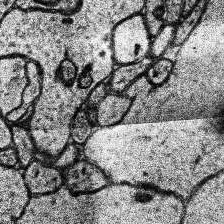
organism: Human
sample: Temporal Lobe